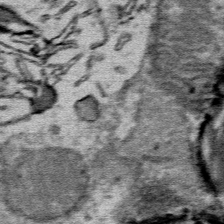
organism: Mouse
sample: Mouse Salivary gland